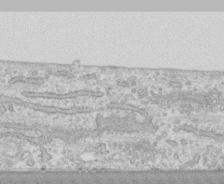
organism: Human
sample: CRL-1474